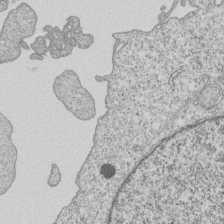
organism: Human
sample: MDA-MB-231 cells